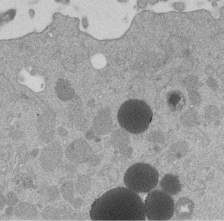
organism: Mouse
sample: Dividing mouse embryo 1 cell stage